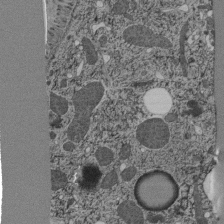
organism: C. elegans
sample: C. elegans pharynx